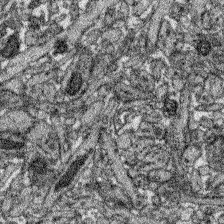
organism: Zebrafish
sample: Larval olfactory bulb